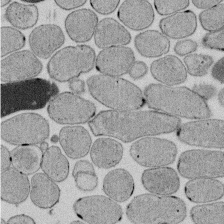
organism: E. coli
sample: Bacterial nucleoid